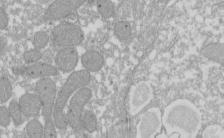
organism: Xenopus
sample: Cilia; centrioles in frog embryo cells